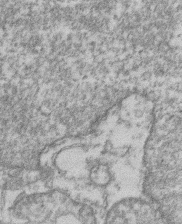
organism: Mouse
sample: T cell stromal cell synapse